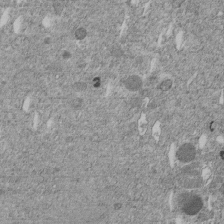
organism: C. elegans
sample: C. elegans embryo early stage